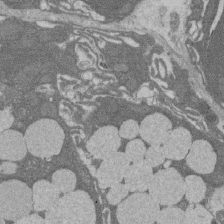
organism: Rat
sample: Salivary granule